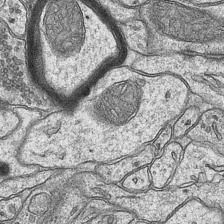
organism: Mouse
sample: CA1 Hippocampus